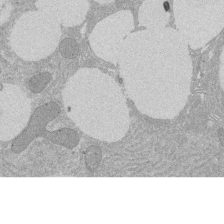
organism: Rat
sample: Salivary granule